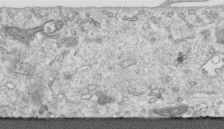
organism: Human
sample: Centriole in RPE cells